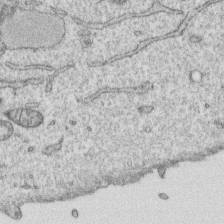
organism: Human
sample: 1205lu cells